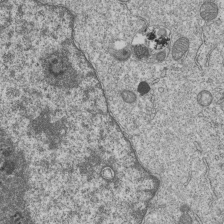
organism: Human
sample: MDA-MB-231 cells